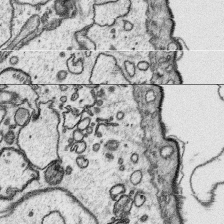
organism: Platynereis dumerilii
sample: Parapodia